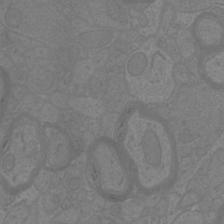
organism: Mouse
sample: Cortical neurons